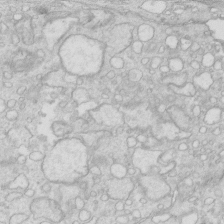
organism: Mouse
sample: Multiciliated cells